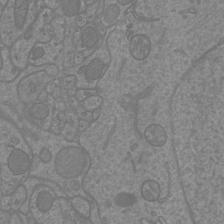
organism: Mouse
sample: Cortical neurons